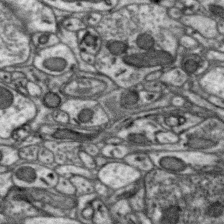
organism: Zebra finch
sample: Brain